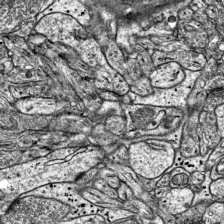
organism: Mouse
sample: Visual Cortex